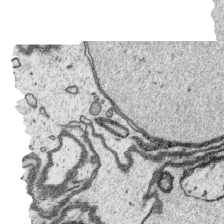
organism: Platynereis dumerilii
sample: Parapodia